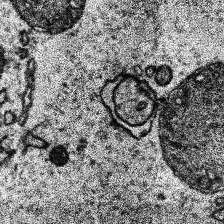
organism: Human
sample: Temporal Lobe